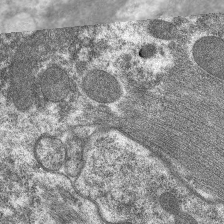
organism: C. elegans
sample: Pharynx